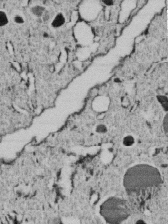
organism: C. elegans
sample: C. elegans embryo early stage